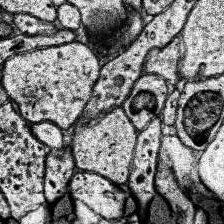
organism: Human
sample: Temporal Lobe